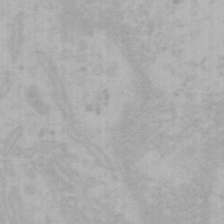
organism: Mouse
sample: Choroid plexus